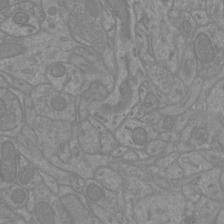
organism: Mouse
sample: Cortical neurons